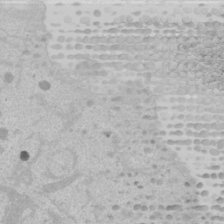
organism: Human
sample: Mitochondria in U2OS cells